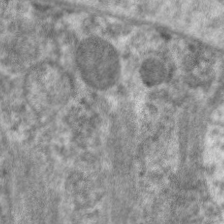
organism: C. elegans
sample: Pharynx